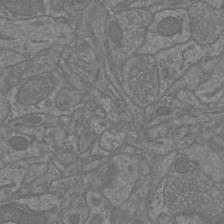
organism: Mouse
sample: Cortical neurons